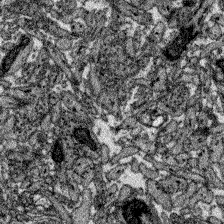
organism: Zebrafish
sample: Larval olfactory bulb